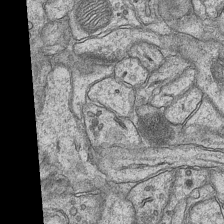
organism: Mouse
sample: CA1 Hippocampus